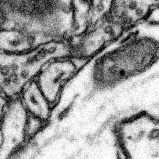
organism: Mouse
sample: Somatosensory cortex neuropil